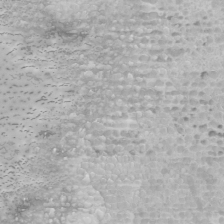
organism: Human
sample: Mitochondria in U2OS cells